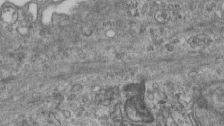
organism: Mouse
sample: Centriole in ependymal cells